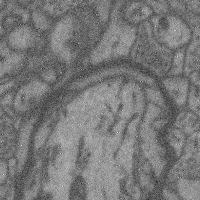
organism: Mouse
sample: Cerebral cortex